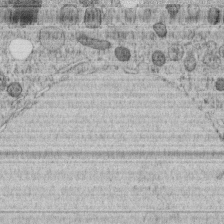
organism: C. elegans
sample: C. elegans embryo early stage